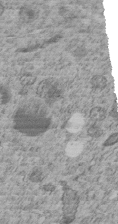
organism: C. elegans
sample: C. elegans embryo early stage